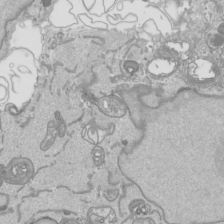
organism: Human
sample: Mitochondria in HCT116 cells